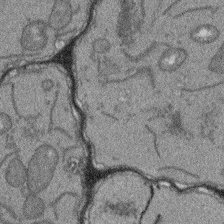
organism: Arabidopsis thaliana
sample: Root tip